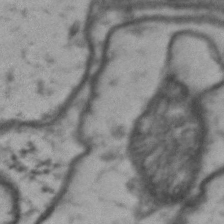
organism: Drosophila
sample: Brain